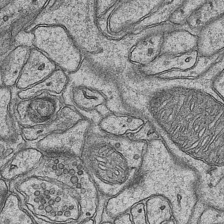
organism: Mouse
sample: CA1 Hippocampus